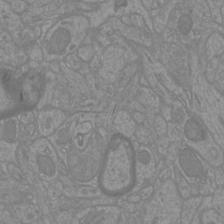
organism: Mouse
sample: Cortical neurons